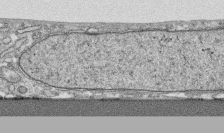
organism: Human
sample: CRL-1474